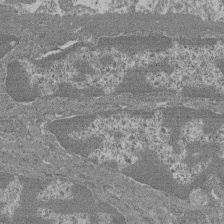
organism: Mouse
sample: Glomerulus